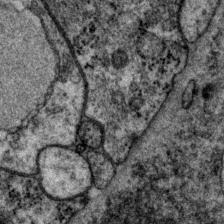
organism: P. pacificus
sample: Pharynx